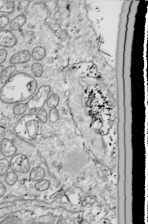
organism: Drosophila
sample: Cell division; meiosis; drosophila spermatocytes